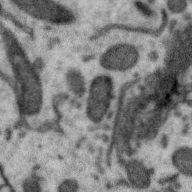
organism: Zebra finch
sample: Brain